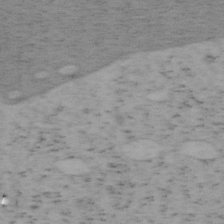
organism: Mouse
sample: OT-I killer T cells with ID8 ovarian cancer cells